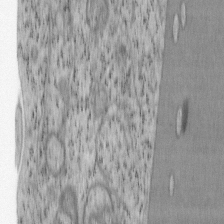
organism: Human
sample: HeLa cells